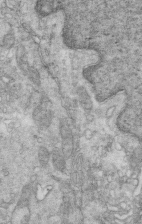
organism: Mouse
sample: Multiciliated cells